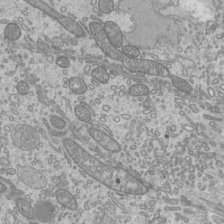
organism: Mouse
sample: Cilia; mouse epididymis